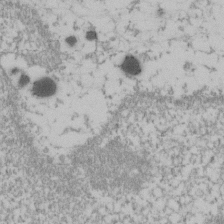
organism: Human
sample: U2-OS cells